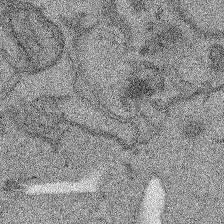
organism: Human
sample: HeLa cells